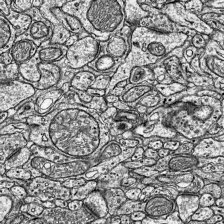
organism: Mouse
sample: Visual Cortex